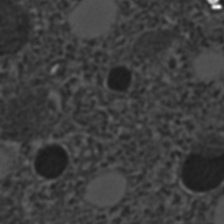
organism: C. elegans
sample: C. elegans embryo